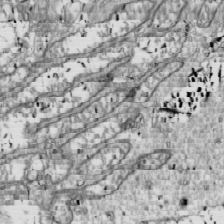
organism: Drosophila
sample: Cell division; meiosis; drosophila spermatocytes